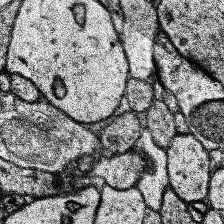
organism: Human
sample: Temporal Lobe